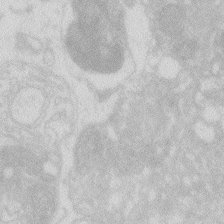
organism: Zebrafish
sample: Macrophage